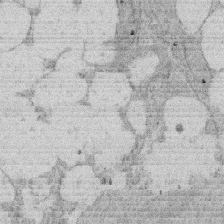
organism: Rat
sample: Salivary granule